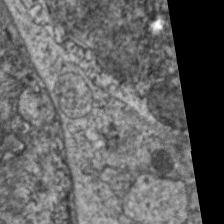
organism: C. elegans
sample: Pharynx